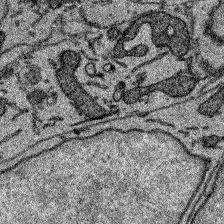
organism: Zebrafish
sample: Larval olfactory bulb